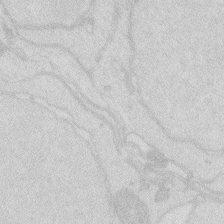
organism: Zebrafish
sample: Macrophage